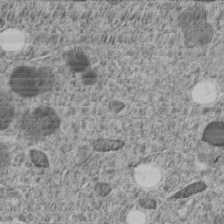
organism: C. elegans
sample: C. elegans embryo early stage